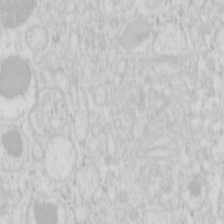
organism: Mouse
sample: Pancreas